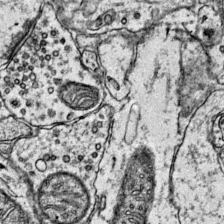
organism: Mouse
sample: Primary visual cortex